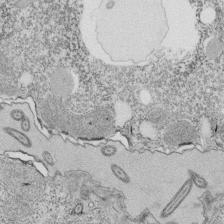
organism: Tetrahymena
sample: Cilia in tetrahymena